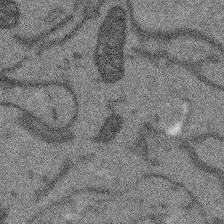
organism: Arabidopsis thaliana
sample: Root tip